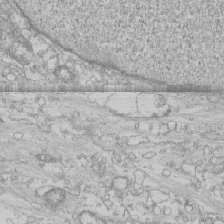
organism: Human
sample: CRL-1474